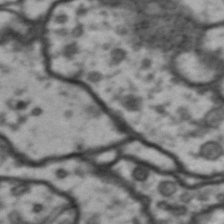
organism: Drosophila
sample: Brain